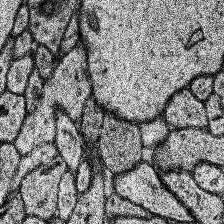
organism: Human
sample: Temporal Lobe